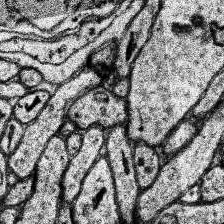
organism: Human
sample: Temporal Lobe